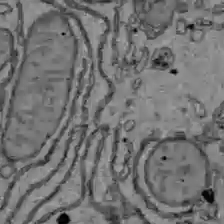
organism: C57BL Mouse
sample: Liver